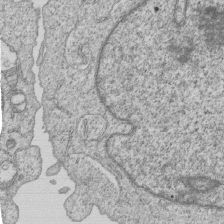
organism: Human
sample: MDA-MB-231 cells